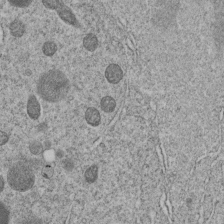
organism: C. elegans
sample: C. elegans embryo early stage